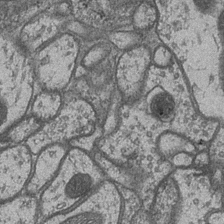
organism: Drosophila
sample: Optic medulla